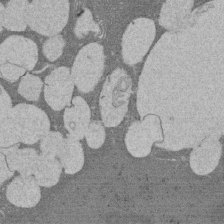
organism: Rat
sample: Salivary granule